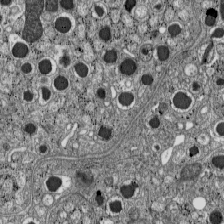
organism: C57BL Mouse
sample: Pancreatic islet